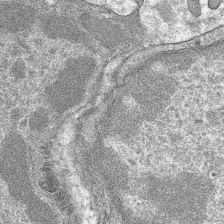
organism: Mouse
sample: Mouse hepatocytes